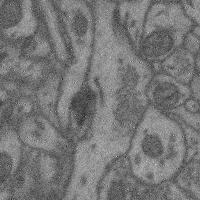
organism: Mouse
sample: Cerebral cortex